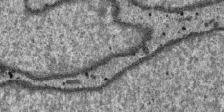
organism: Human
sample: Lung epithelial cells, uninfected (mock) control